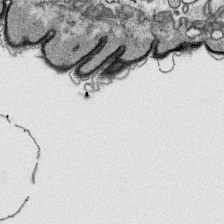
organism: Platynereis dumerilii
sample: Parapodia